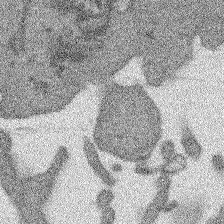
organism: Human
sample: HeLa cells